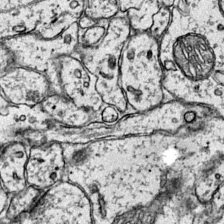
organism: Mouse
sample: Primary visual cortex